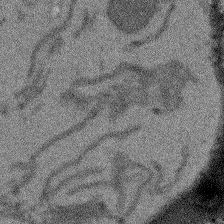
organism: Arabidopsis thaliana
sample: Root tip